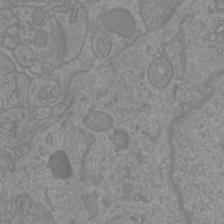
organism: Mouse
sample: Cortical neurons